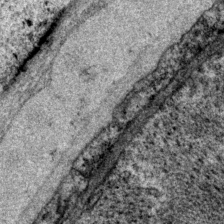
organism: P. pacificus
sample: Pharynx